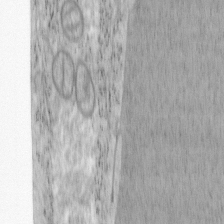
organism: Human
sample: HeLa cells